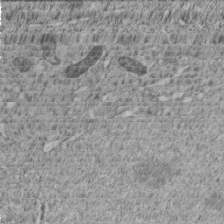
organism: C. elegans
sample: C. elegans embryo early stage